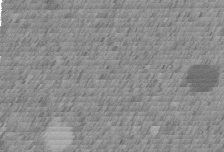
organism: C. elegans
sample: C. elegans embryo early stage